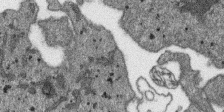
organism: Human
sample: Lung epithelial cells infected with SARS-CoV-2